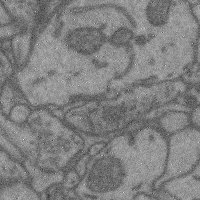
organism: Mouse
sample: Cerebral cortex